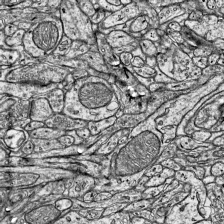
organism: Mouse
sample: Visual Cortex